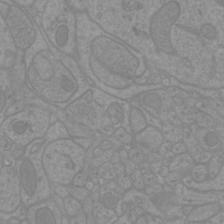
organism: Mouse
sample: Cortical neurons